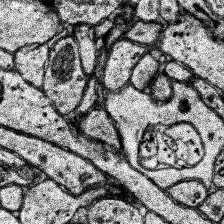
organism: Human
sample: Temporal Lobe